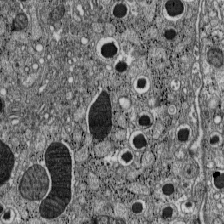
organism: C57BL Mouse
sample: Pancreatic islet